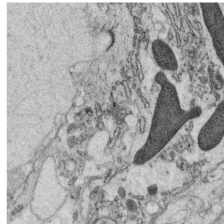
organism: C. elegans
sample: C. elegans oocyte; sperm cells